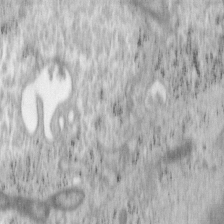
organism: Human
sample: HeLa cells